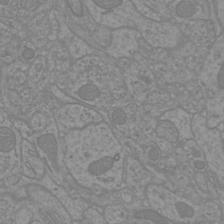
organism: Mouse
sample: Cortical neurons